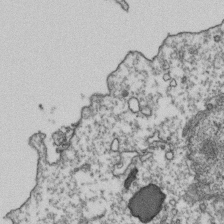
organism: Human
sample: Activated Jurkat CD4+ T cells